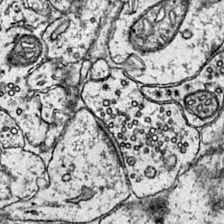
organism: Mouse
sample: Primary visual cortex